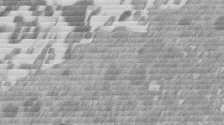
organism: Mouse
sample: Dividing mouse embryo 1 cell stage